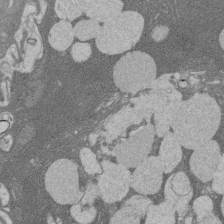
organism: Rat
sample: Salivary granule